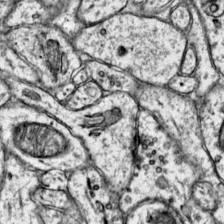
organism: Mouse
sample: Primary visual cortex